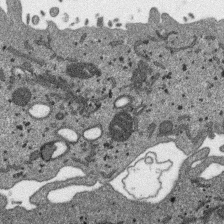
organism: Human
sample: Lung epithelial cells infected with SARS-CoV-2